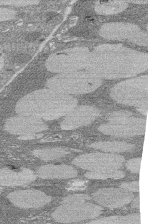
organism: Rat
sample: Salivary granule